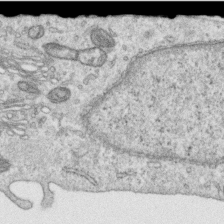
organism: Human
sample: Centriole in RPE cells